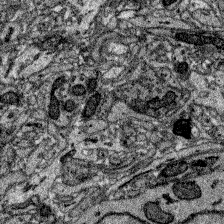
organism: Zebrafish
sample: Larval olfactory bulb